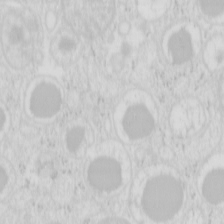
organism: Mouse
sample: Pancreas